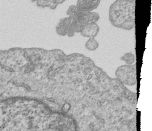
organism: Human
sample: MDA-MB-231 cells